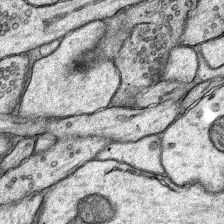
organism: Rat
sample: Hippocampus